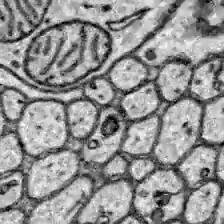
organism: Zebrafish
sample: Brain